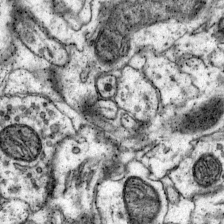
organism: Mouse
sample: Primary visual cortex